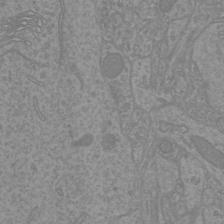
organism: Mouse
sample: Cortical neurons